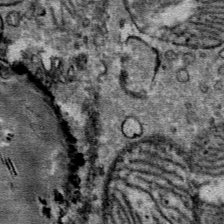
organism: Mouse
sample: Mouse Salivary gland